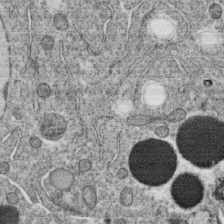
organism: C. elegans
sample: C. elegans oocyte; sperm cells